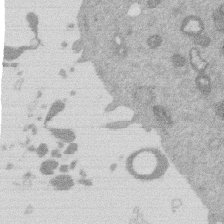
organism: Mouse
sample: Dividing mouse embryo 1 cell stage